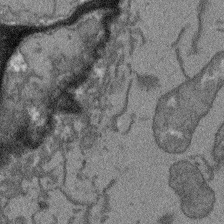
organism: Arabidopsis thaliana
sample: Root tip